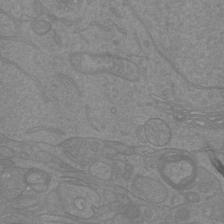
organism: Mouse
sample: Cortical neurons